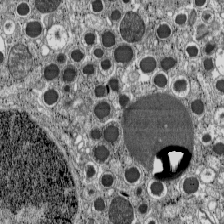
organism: C57BL Mouse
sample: Pancreatic islet